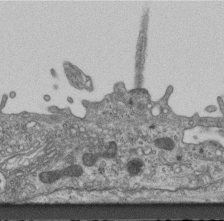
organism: Mouse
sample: Centriole in ependymal cells